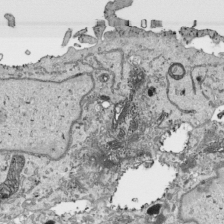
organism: Human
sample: Mitochondria in HCT116 cells